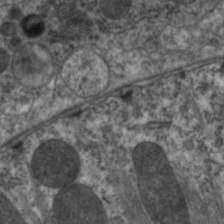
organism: C. elegans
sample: Pharynx